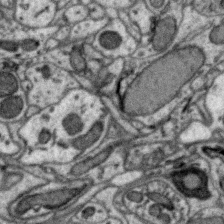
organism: Zebra finch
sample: Brain